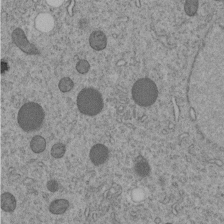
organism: C. elegans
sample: C. elegans embryo early stage